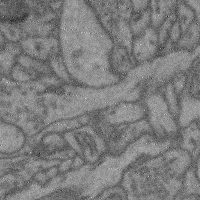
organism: Mouse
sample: Cerebral cortex